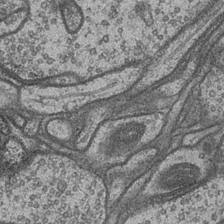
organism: Drosophila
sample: Optic medulla